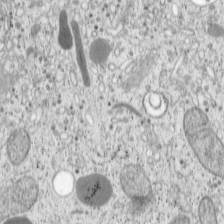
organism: African green monkey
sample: COS-7 cells